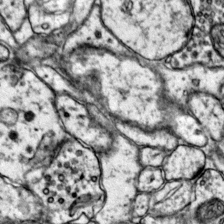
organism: Mouse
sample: Primary visual cortex